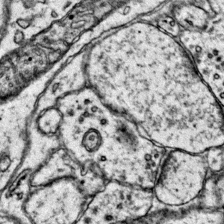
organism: Mouse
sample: Primary visual cortex